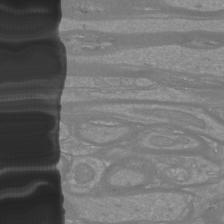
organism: Mouse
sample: Cortical neurons